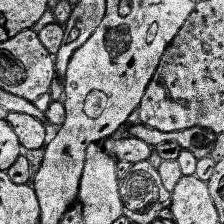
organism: Human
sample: Temporal Lobe